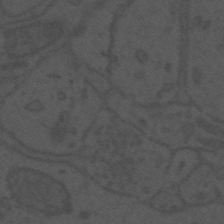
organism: Mouse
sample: Suprachiasmatic nucleus